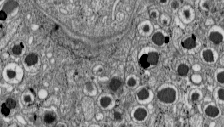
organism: C57BL Mouse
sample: Pancreatic islet